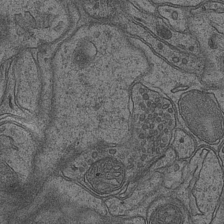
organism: Mouse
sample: CA1 Hippocampus